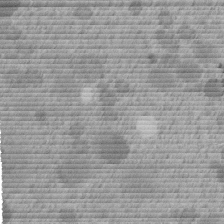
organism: C. elegans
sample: C. elegans embryo early stage